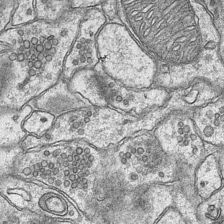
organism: Mouse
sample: CA1 Hippocampus